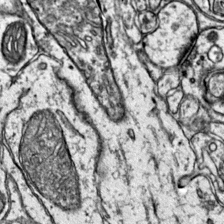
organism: Mouse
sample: Primary visual cortex